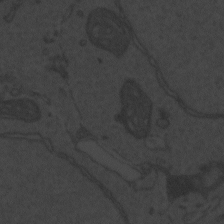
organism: Zebrafish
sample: Macrophage infected with Toxoplasma gondii